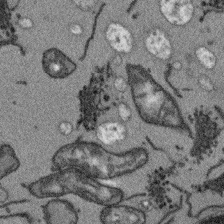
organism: Arabidopsis thaliana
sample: Root tip